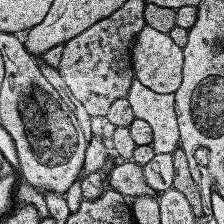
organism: Human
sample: Temporal Lobe